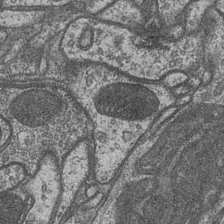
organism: Drosophila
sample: Optic medulla